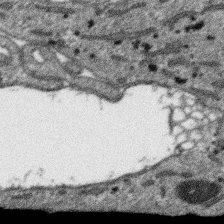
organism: Human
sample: Lung epithelial cells infected with SARS-CoV-2